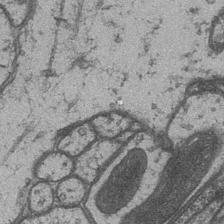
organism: Drosophila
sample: Optic medulla